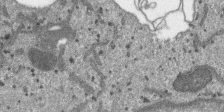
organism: Human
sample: Lung epithelial cells infected with SARS-CoV-2